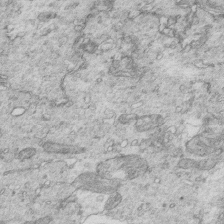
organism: Mouse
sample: Multiciliated cells